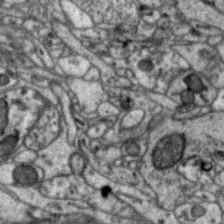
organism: Zebra finch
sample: Brain